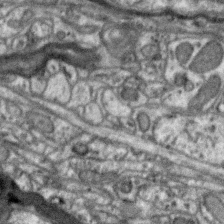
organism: Zebra finch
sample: Brain